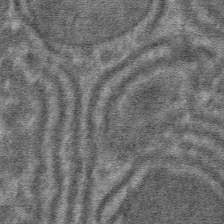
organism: Mouse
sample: Mouse hepatocytes